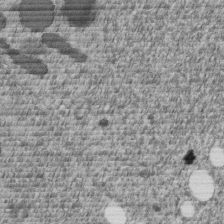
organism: C. elegans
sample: C. elegans embryo early stage